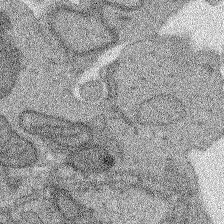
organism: Human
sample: HeLa cells